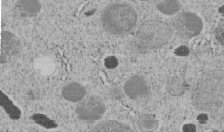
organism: C. elegans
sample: C. elegans embryo early stage